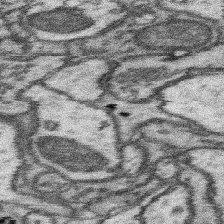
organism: Mouse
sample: Somatosensory cortex neuropil